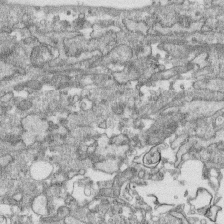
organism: Human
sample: CRL-1474